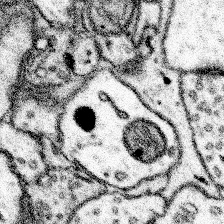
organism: Mouse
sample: Somatosensory cortex neuropil